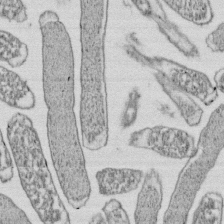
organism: E. coli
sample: Bacterial nucleoid